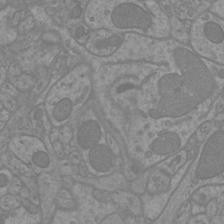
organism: Mouse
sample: Cortical neurons